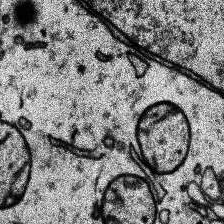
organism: Human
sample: Temporal Lobe